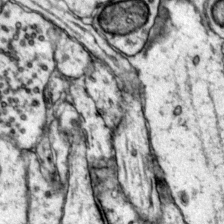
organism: Mouse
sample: Primary visual cortex